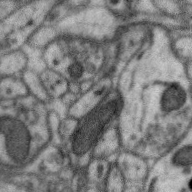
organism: Zebra finch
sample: Brain